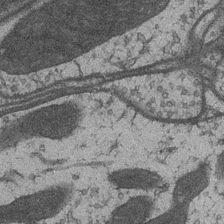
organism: Drosophila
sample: Optic medulla